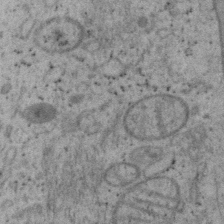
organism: Human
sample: HeLa cells